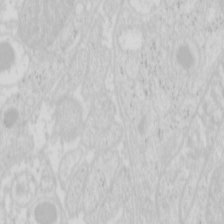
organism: Mouse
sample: Pancreas